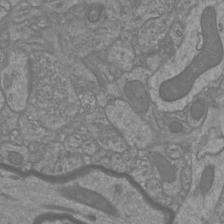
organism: Mouse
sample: Cortical neurons